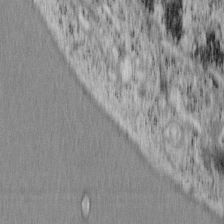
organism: Human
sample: HeLa cells